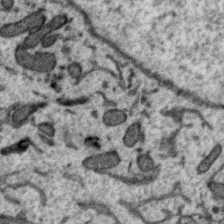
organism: Zebra finch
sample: Brain